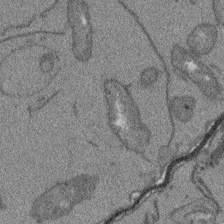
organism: Arabidopsis thaliana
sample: Root tip